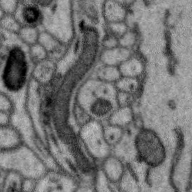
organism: Zebra finch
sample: Brain